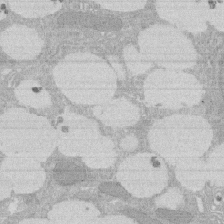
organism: Rat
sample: Salivary granule